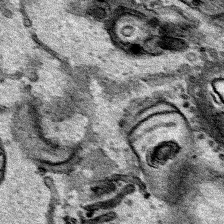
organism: Human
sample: Mitochondria in HCT116 cells